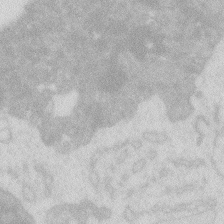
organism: Zebrafish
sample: Macrophage